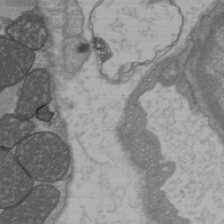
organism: C57BL Mouse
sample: Heart